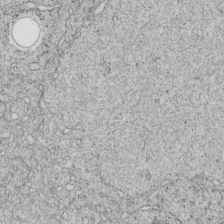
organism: C. elegans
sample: C. elegans embryo early stage